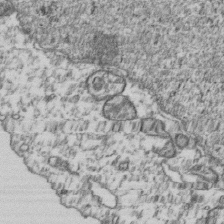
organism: Human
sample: Activated Jurkat CD4+ T cells